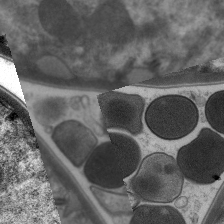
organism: C. elegans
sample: Pharynx